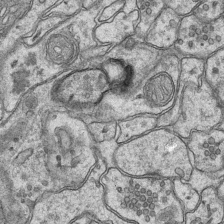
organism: Mouse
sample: CA1 Hippocampus